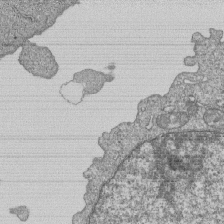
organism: Human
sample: MDA-MB-231 cells